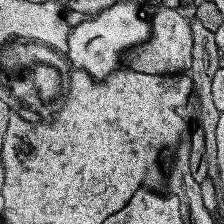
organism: Human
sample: Temporal Lobe